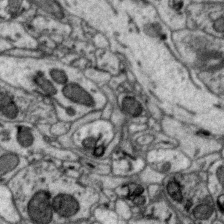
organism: Zebra finch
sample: Brain